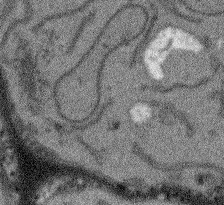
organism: Arabidopsis thaliana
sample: Root tip